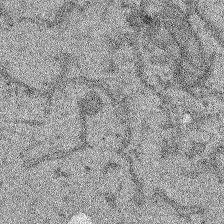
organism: Human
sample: HeLa cells